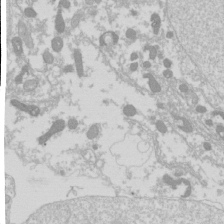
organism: Drosophila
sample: Cell division; meiosis; drosophila spermatocytes